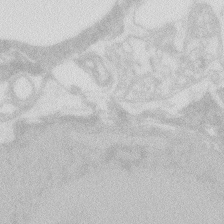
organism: Zebrafish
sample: Macrophage